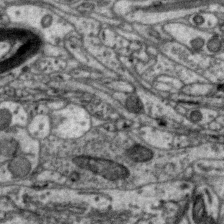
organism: Zebra finch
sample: Brain